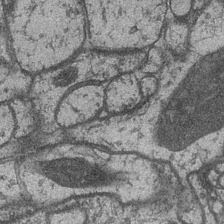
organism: Drosophila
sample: Optic medulla